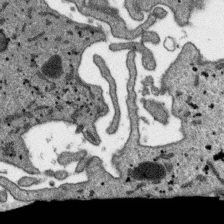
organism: Human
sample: Lung epithelial cells, uninfected (mock) control